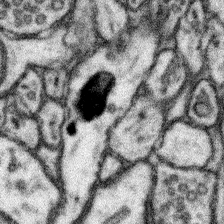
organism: Mouse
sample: Somatosensory cortex neuropil